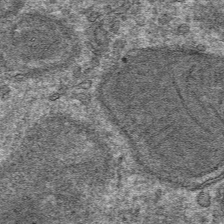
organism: Mouse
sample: Mouse hepatocytes